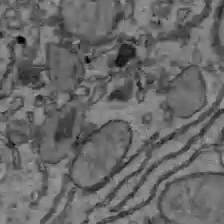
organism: C57BL Mouse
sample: Liver